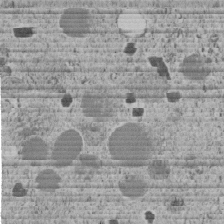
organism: C. elegans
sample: C. elegans embryo early stage